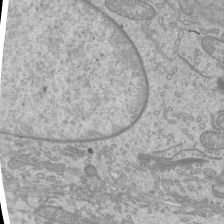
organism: Mouse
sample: Cilia; mouse epididymis